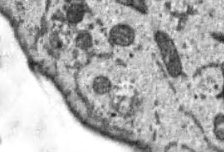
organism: Human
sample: HeLa cells